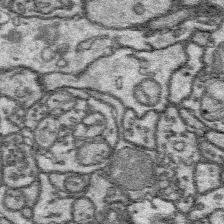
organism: Platynereis dumerilii